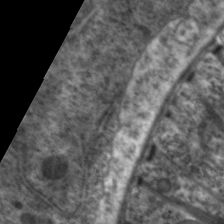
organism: C. elegans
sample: Pharynx